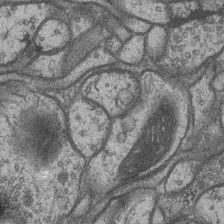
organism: Drosophila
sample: Optic medulla